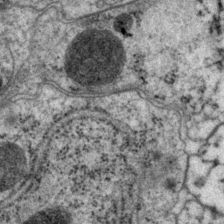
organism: P. pacificus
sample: Pharynx